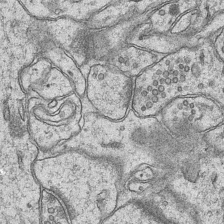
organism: Mouse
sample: CA1 Hippocampus